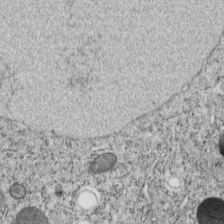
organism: C. elegans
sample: C. elegans embryo early stage